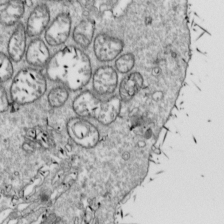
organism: Drosophila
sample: Cell division; meiosis; drosophila spermatocytes